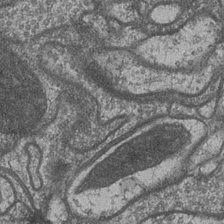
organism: Drosophila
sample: Optic medulla